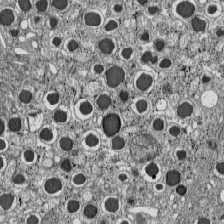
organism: C57BL Mouse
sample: Pancreatic islet